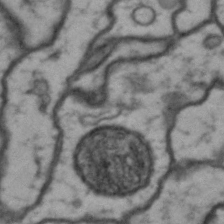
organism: Drosophila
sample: Brain